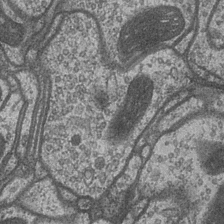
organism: Drosophila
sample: Optic medulla